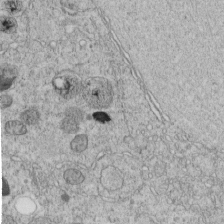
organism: C. elegans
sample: C. elegans embryo early stage